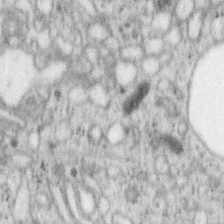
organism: Mouse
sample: OT-I killer T cells with ID8 ovarian cancer cells